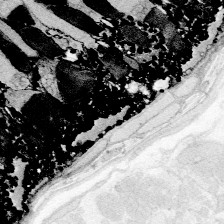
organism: Zebrafish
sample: Whole-Brain